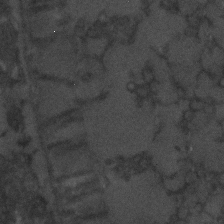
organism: C. elegans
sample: C. elegans embryo